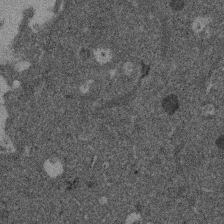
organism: Mouse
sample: Dividing mouse embryo 1 cell stage